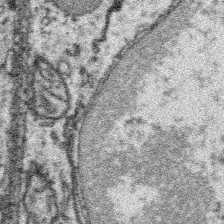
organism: Platynereis dumerilii